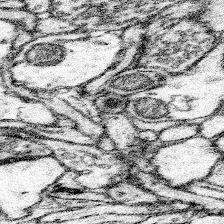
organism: Mouse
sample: Somatosensory cortex neuropil